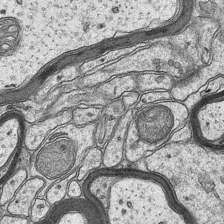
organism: Mouse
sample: CA1 Hippocampus